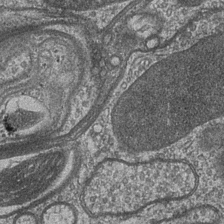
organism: Drosophila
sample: Optic medulla